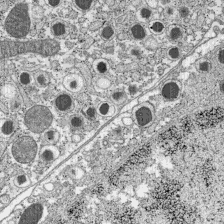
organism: C57BL Mouse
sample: Pancreatic islet